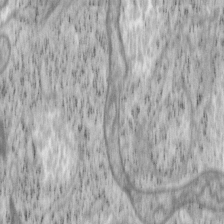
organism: Human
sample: HeLa cells